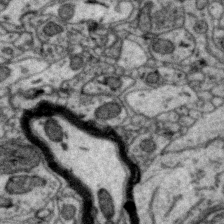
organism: Zebra finch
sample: Brain